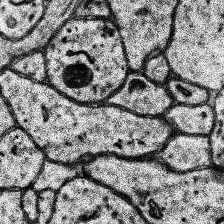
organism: Human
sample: Temporal Lobe